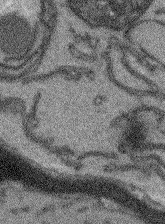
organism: Arabidopsis thaliana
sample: Root tip